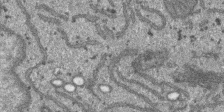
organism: Human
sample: Lung epithelial cells infected with SARS-CoV-2